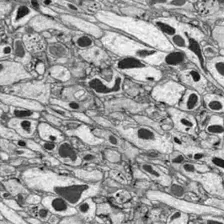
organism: Drosophila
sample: Optic lobe